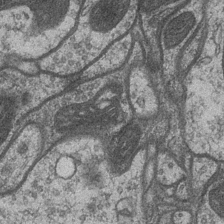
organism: Drosophila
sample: Optic medulla